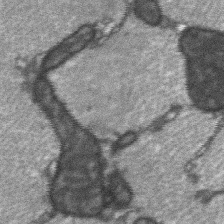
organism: C57BL Mouse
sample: Soleus